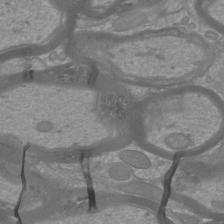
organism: Mouse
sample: Cortical neurons